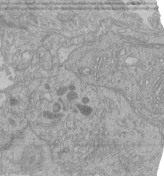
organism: Human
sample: Retinal organoid Rod and Cone cells